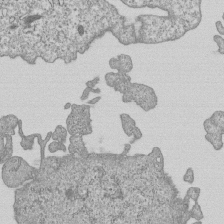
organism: Human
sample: MDA-MB-231 cells